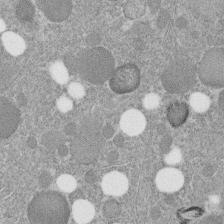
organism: C. elegans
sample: C. elegans embryo early stage